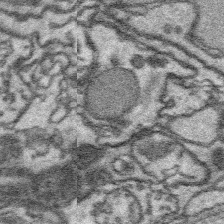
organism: Platynereis dumerilii